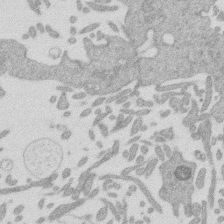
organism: Mouse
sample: Dividing mouse embryo 1 cell stage